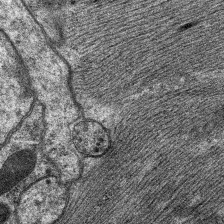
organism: C. elegans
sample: Pharynx